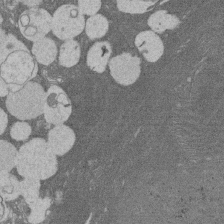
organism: Rat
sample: Salivary granule